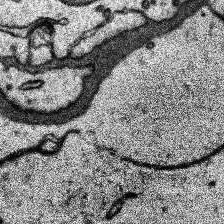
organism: Human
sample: Temporal Lobe